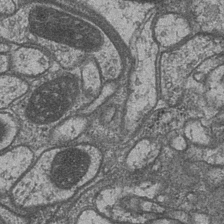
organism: Drosophila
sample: Optic medulla